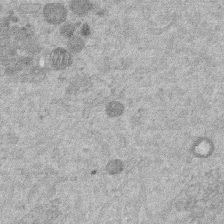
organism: Mouse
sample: Dividing mouse embryo 1 cell stage